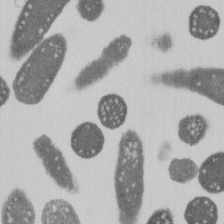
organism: E. coli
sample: Bacterial nucleoid